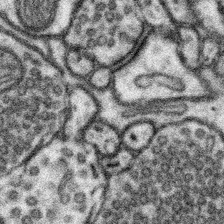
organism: Mouse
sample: Somatosensory cortex neuropil